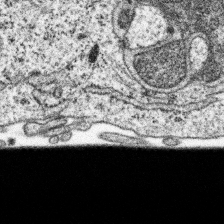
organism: Human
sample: HeLa cells